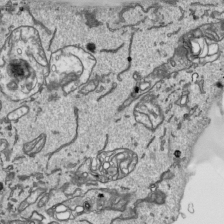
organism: Human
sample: Mitochondria in HCT116 cells